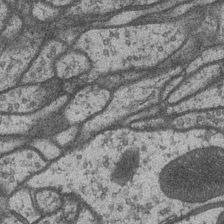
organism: Drosophila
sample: Optic medulla